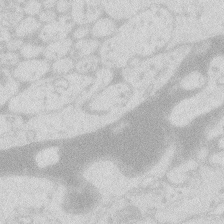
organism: Zebrafish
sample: Macrophage